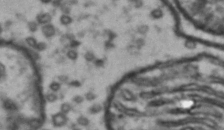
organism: Drosophila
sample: Brain